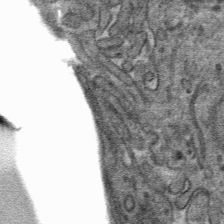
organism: Mouse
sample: Mouse hepatocytes